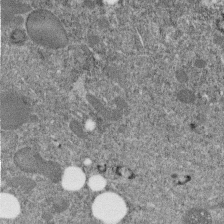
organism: C. elegans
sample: C. elegans embryo early stage